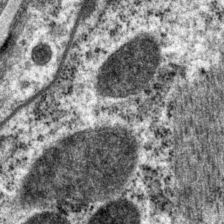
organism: P. pacificus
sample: Pharynx